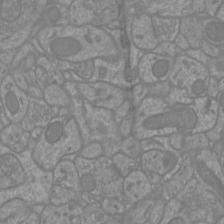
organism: Mouse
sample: Cortical neurons